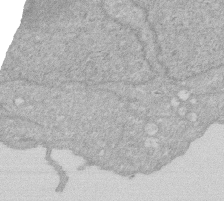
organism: Human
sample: HIV infected U937 cells